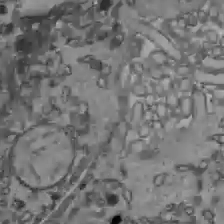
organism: C57BL Mouse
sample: Liver